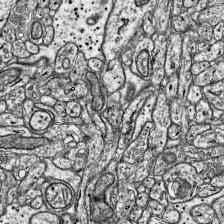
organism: Mouse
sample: Visual Cortex